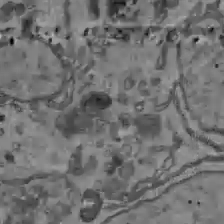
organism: C57BL Mouse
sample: Liver